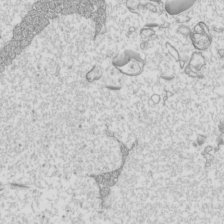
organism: Mouse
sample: Cilia; mouse epididymis